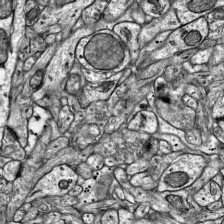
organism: Mouse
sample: Visual Cortex